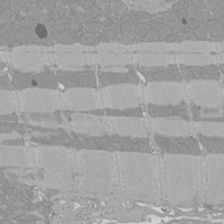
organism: Rat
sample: Left ventricle